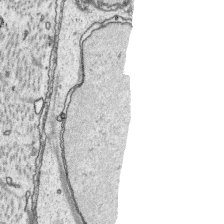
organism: Platynereis dumerilii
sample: Parapodia